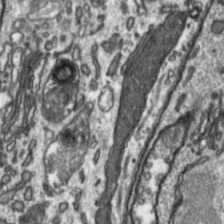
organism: Toxoplasma gondii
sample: Parasites in a vacuole inside a host cell